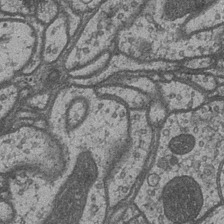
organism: Drosophila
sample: Optic medulla